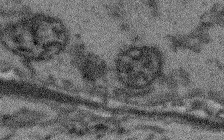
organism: Arabidopsis thaliana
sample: Root tip